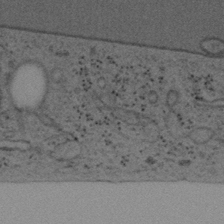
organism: Human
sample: HeLa cells